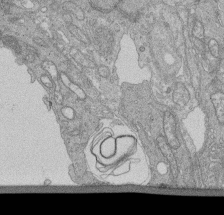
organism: Human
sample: Retinal organoid Rod and Cone cells